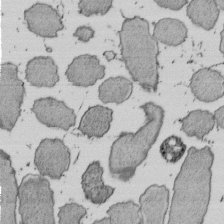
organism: E. coli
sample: Bacterial nucleoid